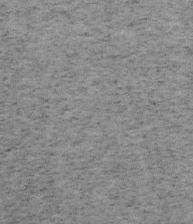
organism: Mouse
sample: OT-I killer T cells with ID8 ovarian cancer cells